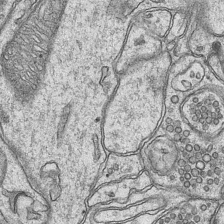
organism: Mouse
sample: CA1 Hippocampus